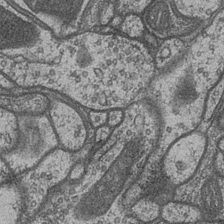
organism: Drosophila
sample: Optic medulla